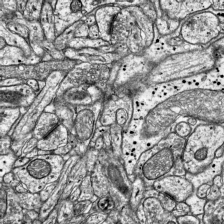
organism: Mouse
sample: Visual Cortex